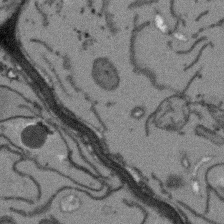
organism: Arabidopsis thaliana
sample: Root tip